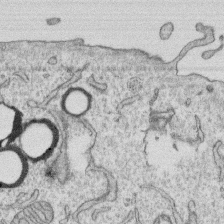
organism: Human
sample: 1205lu cells